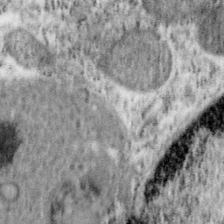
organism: Mouse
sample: OT-I killer T cells with ID8 ovarian cancer cells